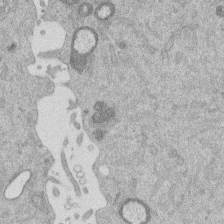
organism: Mouse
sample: Dividing mouse embryo 1 cell stage